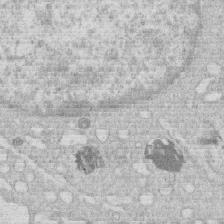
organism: Human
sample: Macrophage cells